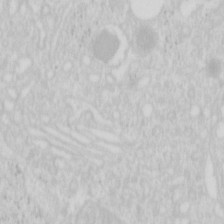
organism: Mouse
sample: Pancreas